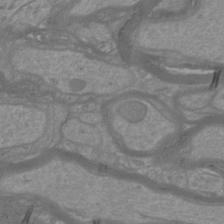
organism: Mouse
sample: Cortical neurons